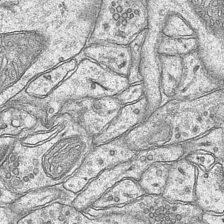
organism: Mouse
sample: CA1 Hippocampus